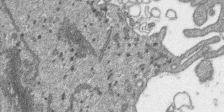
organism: Human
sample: Lung epithelial cells infected with SARS-CoV-2